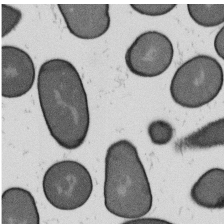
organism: B. subtilis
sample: Bacterial spore